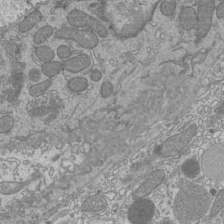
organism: Mouse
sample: Cilia; mouse epididymis